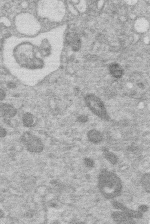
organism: Human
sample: Macrophage cells